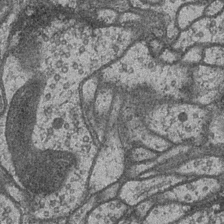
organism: Drosophila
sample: Optic medulla